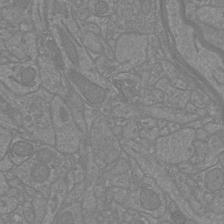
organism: Mouse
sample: Cortical neurons